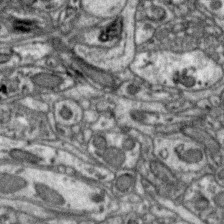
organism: Zebra finch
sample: Brain